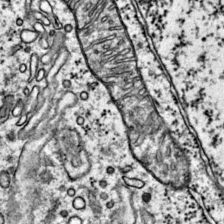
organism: Mouse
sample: Primary visual cortex